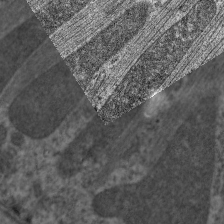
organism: C. elegans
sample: Pharynx